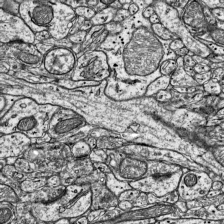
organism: Mouse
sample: Visual Cortex